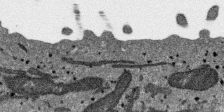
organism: Human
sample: Lung epithelial cells, uninfected (mock) control